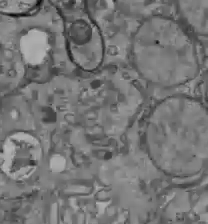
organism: C57BL Mouse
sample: Liver